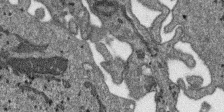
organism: Human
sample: Lung epithelial cells infected with SARS-CoV-2